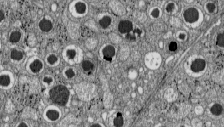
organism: C57BL Mouse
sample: Pancreatic islet